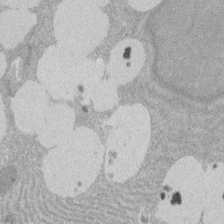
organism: Rat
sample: Salivary granule